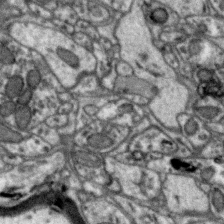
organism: Zebra finch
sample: Brain